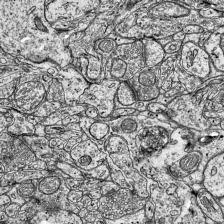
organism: Mouse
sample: Visual Cortex